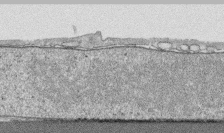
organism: Human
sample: CRL-1474